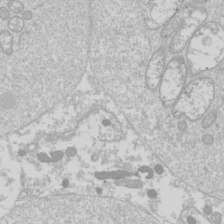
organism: Drosophila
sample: Cell division; meiosis; drosophila spermatocytes